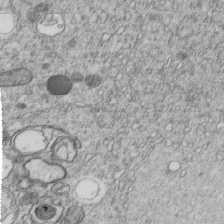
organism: C. elegans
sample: C. elegans embryo early stage